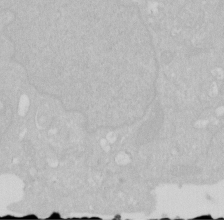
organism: Human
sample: HIV infected U937 cells